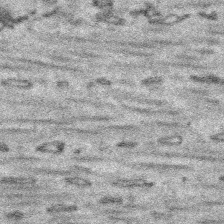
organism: Platynereis dumerilii